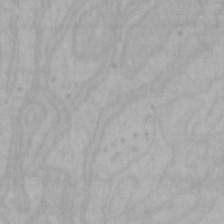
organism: Mouse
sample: Choroid plexus